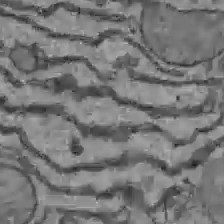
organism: C57BL Mouse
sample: Liver